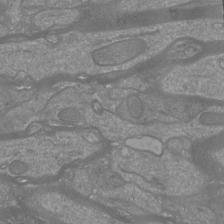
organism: Mouse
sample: Cortical neurons